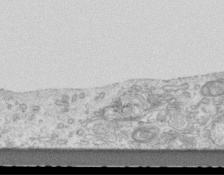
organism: Mouse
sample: Centriole in ependymal cells